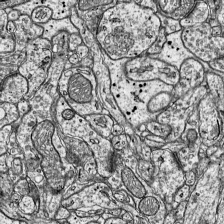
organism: Mouse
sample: Visual Cortex